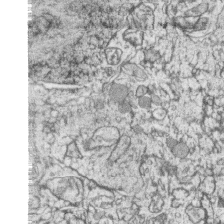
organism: Zebrafish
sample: synaptic ribbons in rod cells and cone cells